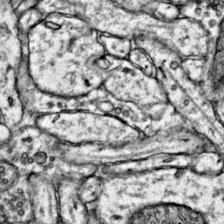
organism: Mouse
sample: Primary visual cortex